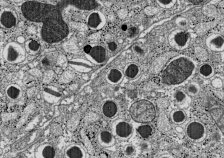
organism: C57BL Mouse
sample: Pancreatic islet